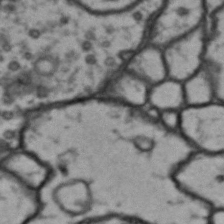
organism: Drosophila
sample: Brain